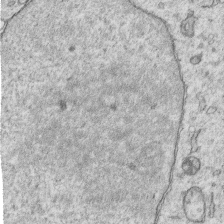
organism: Human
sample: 1205lu cells